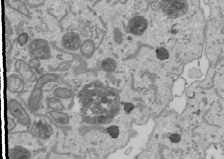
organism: Human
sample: Mitochondria in U2OS cells